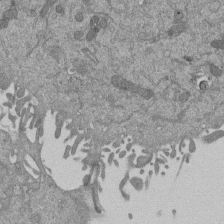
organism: Mouse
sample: ED-1 cell nuclei; centrioles